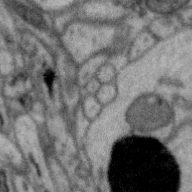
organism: Zebra finch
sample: Brain